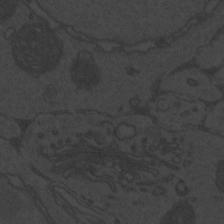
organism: Zebrafish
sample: Macrophage infected with Toxoplasma gondii